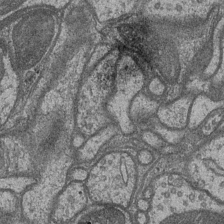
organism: Drosophila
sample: Optic medulla